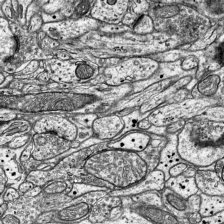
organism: Mouse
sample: Visual Cortex